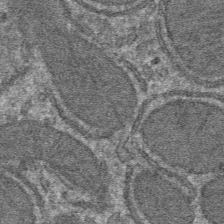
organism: Mouse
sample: Mouse hepatocytes